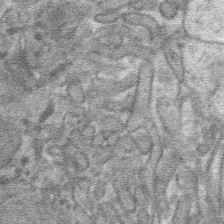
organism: Mouse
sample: Mouse hepatocytes